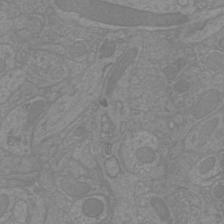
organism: Mouse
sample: Cortical neurons